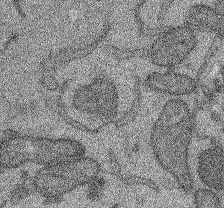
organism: Human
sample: HeLa cells